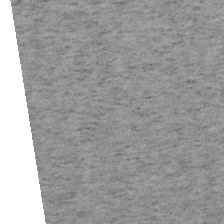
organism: Mouse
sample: OT-I killer T cells with ID8 ovarian cancer cells